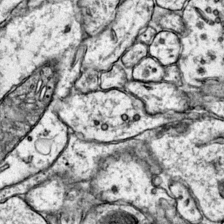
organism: Mouse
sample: Primary visual cortex